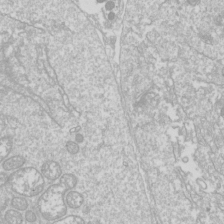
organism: Drosophila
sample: Cell division; meiosis; drosophila spermatocytes